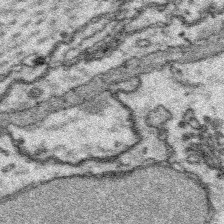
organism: Platynereis dumerilii